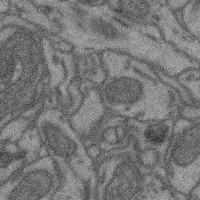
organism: Mouse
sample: Cerebral cortex